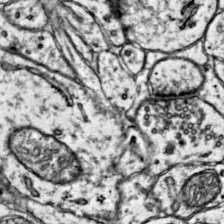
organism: Mouse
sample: Primary visual cortex